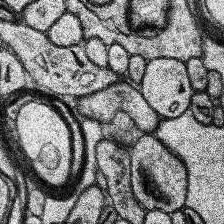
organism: Human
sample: Temporal Lobe